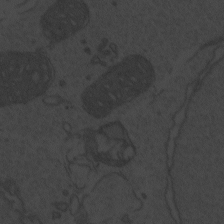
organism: Zebrafish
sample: Macrophage infected with Toxoplasma gondii